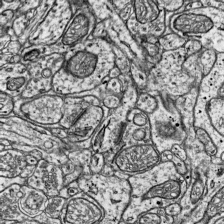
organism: Mouse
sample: Visual Cortex